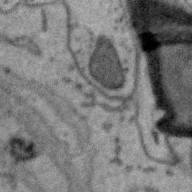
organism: Zebra finch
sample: Brain